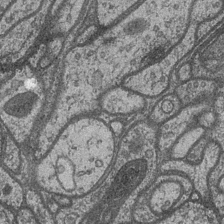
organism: Drosophila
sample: Optic medulla